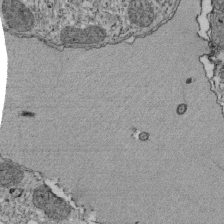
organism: Tetrahymena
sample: Cilia in tetrahymena